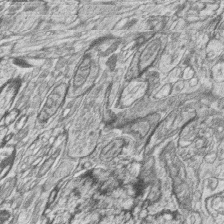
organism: Zebrafish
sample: synaptic ribbons in rod cells and cone cells